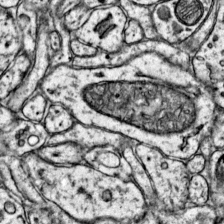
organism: Mouse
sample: Primary visual cortex